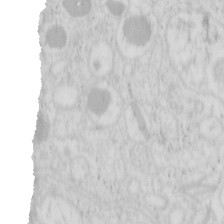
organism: Mouse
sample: Pancreas